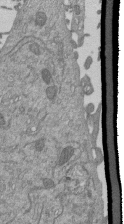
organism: Mouse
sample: ED-1 cell nuclei; centrioles